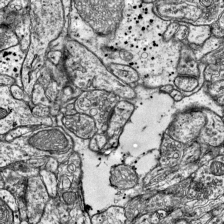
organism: Mouse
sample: Visual Cortex